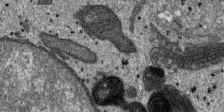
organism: Human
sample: Lung epithelial cells, uninfected (mock) control